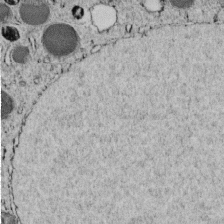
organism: C. elegans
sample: C. elegans embryo early stage